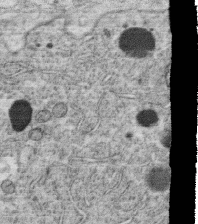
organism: C. elegans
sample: C. elegans oocyte; sperm cells